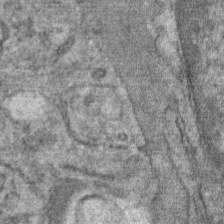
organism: Mouse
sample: Mouse Salivary gland